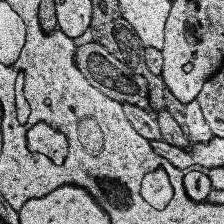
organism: Human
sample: Temporal Lobe